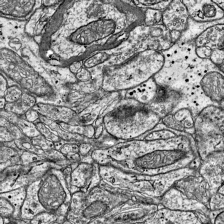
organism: Mouse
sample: Visual Cortex